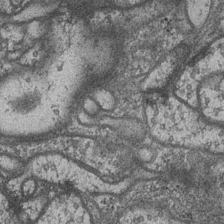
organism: Drosophila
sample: Optic medulla